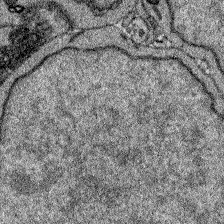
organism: Zebrafish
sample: Larval olfactory bulb